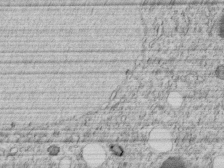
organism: C. elegans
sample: C. elegans embryo early stage